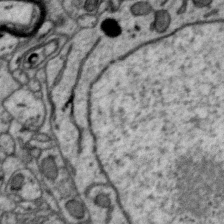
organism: Zebra finch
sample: Brain